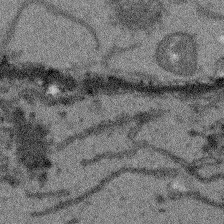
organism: Arabidopsis thaliana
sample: Root tip